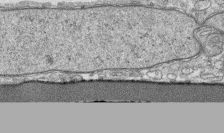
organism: Human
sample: CRL-1474